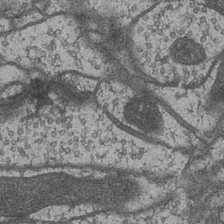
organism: Drosophila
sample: Optic medulla